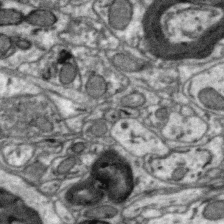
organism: Zebra finch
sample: Brain